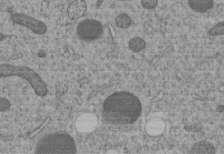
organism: C. elegans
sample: C. elegans embryo early stage